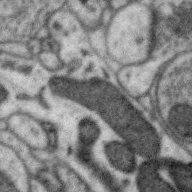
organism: Zebra finch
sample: Brain